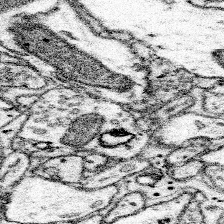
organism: Mouse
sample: Somatosensory cortex neuropil